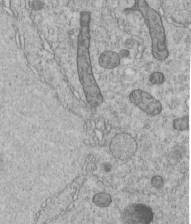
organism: C. elegans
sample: C. elegans embryo early stage